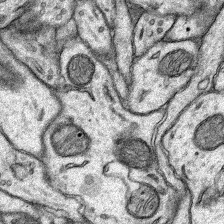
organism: Rat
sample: Hippocampus